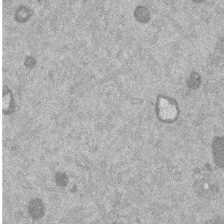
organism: Mouse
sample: Dividing mouse embryo 1 cell stage